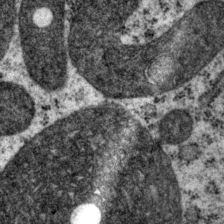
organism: P. pacificus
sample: Pharynx